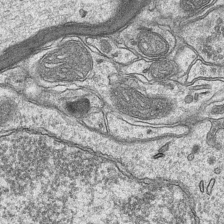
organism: Mouse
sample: CA1 Hippocampus